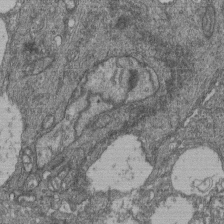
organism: Human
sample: Retinal organoid Rod and Cone cells